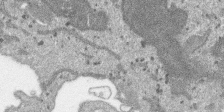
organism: Human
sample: Lung epithelial cells infected with SARS-CoV-2